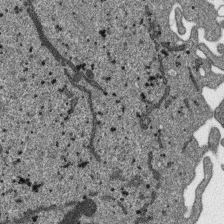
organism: Human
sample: Lung epithelial cells infected with SARS-CoV-2